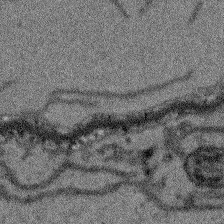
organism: Arabidopsis thaliana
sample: Root tip